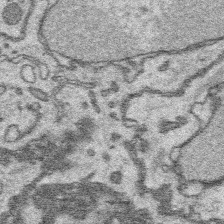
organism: Platynereis dumerilii